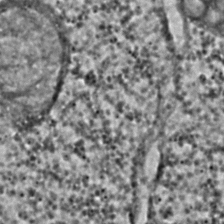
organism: C. elegans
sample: C. elegans embryo